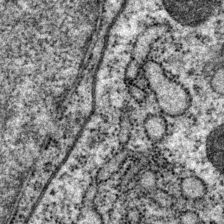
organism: P. pacificus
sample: Pharynx